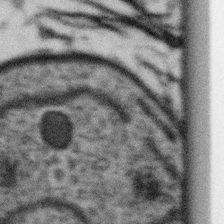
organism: Gemmata obscuriglobus